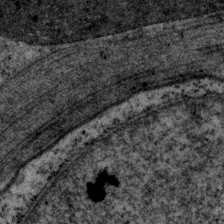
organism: P. pacificus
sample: Pharynx